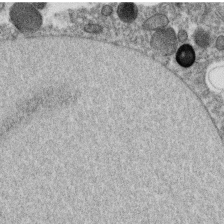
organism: C. elegans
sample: C. elegans oocyte; sperm cells